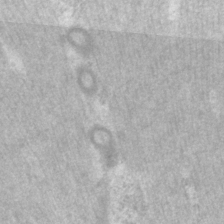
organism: P. pacificus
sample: Pharynx